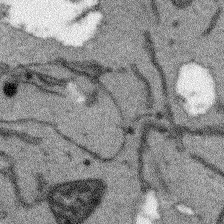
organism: Arabidopsis thaliana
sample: Root tip